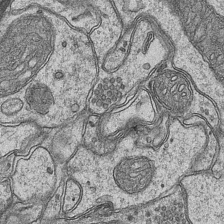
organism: Mouse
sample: CA1 Hippocampus